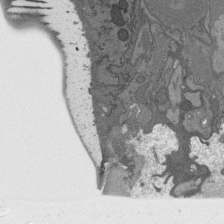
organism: C. elegans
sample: AFD neurons C. elegans